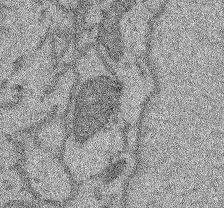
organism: Human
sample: HeLa cells